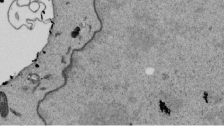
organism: Mouse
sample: ED-1 cell nuclei; centrioles